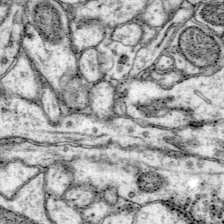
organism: Mouse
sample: Primary visual cortex